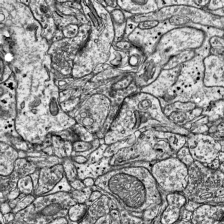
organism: Mouse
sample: Visual Cortex